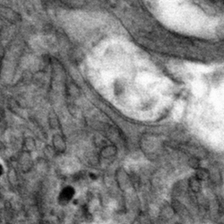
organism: Mouse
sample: Mouse hepatocytes